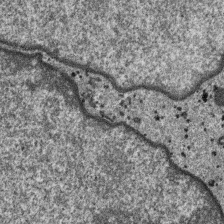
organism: Human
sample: Lung epithelial cells infected with SARS-CoV-2